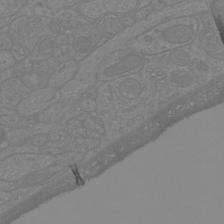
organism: Mouse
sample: Cortical neurons